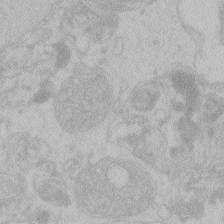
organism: Zebrafish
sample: Macrophage infected with Toxoplasma gondii